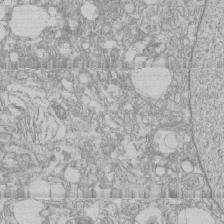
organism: Human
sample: CRL-1474